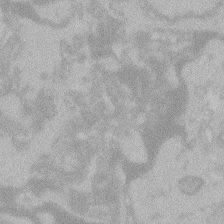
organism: Zebrafish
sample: Macrophage infected with Toxoplasma gondii